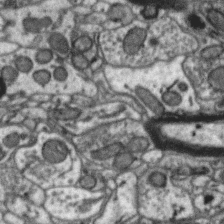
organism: Zebra finch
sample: Brain